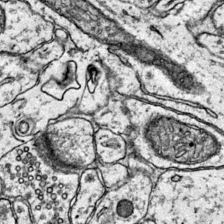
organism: Mouse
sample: Primary visual cortex